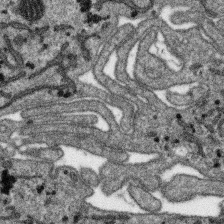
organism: Human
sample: Lung epithelial cells infected with SARS-CoV-2